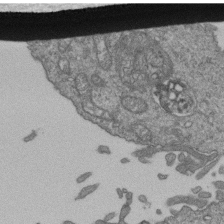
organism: Human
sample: Retinal organoid Rod and Cone cells